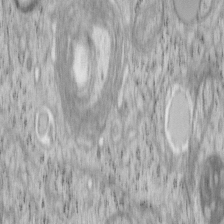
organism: Human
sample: HeLa cells